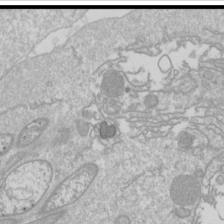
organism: Drosophila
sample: Cell division; meiosis; drosophila spermatocytes